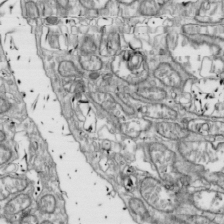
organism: Drosophila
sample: Cell division; meiosis; drosophila spermatocytes